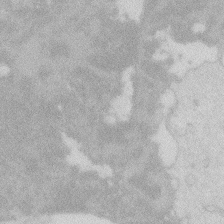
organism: Zebrafish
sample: Macrophage